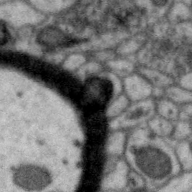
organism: Zebra finch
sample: Brain